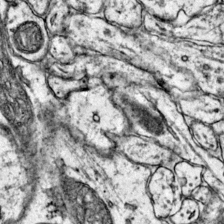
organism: Mouse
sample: Primary visual cortex